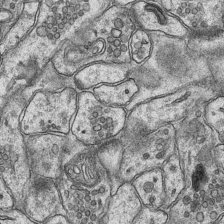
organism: Mouse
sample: CA1 Hippocampus